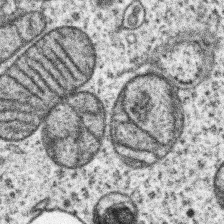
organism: Human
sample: HeLa cells